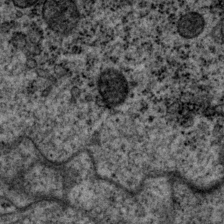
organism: P. pacificus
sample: Pharynx